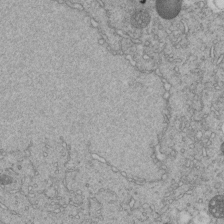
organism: C. elegans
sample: C. elegans embryo early stage